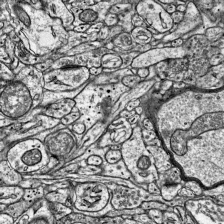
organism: Mouse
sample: Visual Cortex